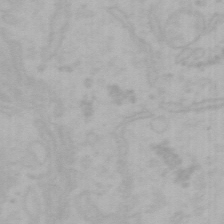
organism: Mouse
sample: Choroid plexus